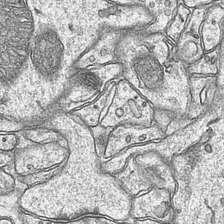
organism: Mouse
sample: CA1 Hippocampus